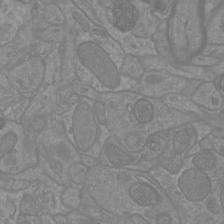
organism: Mouse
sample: Cortical neurons